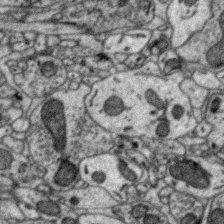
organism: Zebra finch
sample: Brain